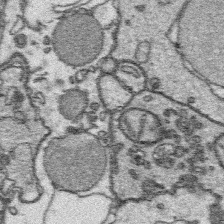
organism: Platynereis dumerilii